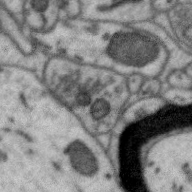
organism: Zebra finch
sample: Brain